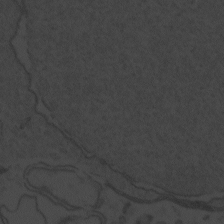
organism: Zebrafish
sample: Macrophage infected with Toxoplasma gondii